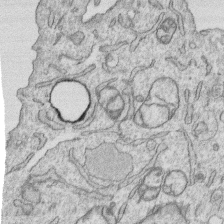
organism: Human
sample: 1205lu cells